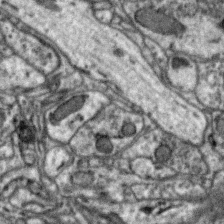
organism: Zebra finch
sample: Brain